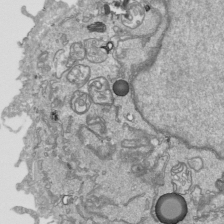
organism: Human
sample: Mitochondria in HCT116 cells